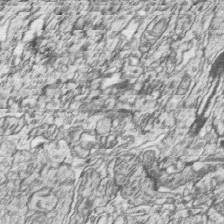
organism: Zebrafish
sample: synaptic ribbons in rod cells and cone cells